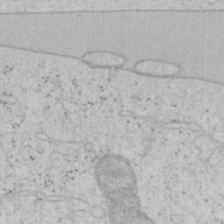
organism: Human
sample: HeLa cells